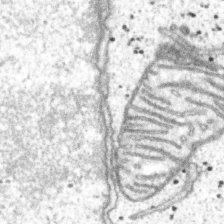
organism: Human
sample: HeLa cells